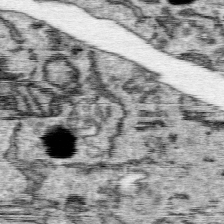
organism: Human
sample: HeLa cells